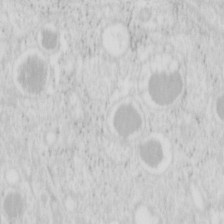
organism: Mouse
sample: Pancreas